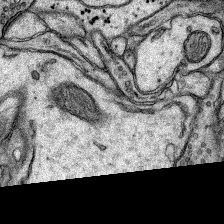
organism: Rat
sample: Hippocampus